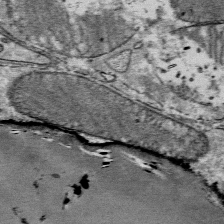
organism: Mouse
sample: Mouse Salivary gland